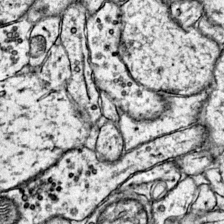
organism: Mouse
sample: Primary visual cortex